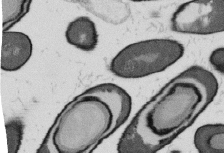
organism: B. subtilis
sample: Bacterial spore